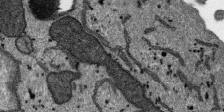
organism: Human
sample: Lung epithelial cells, uninfected (mock) control